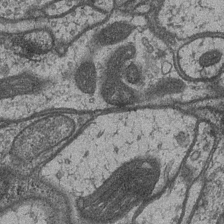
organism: Drosophila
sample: Optic medulla